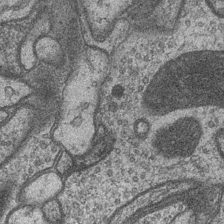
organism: Drosophila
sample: Optic medulla